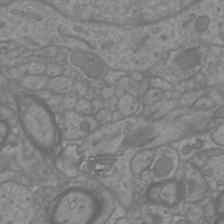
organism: Mouse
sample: Cortical neurons